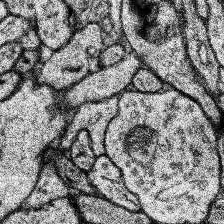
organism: Human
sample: Temporal Lobe